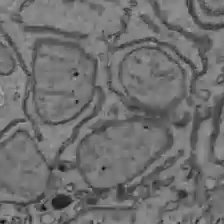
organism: C57BL Mouse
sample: Liver